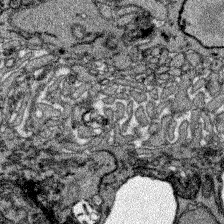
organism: Zebrafish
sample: Larval olfactory bulb